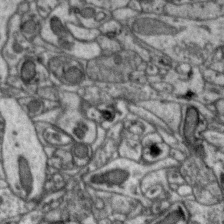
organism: Zebra finch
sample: Brain